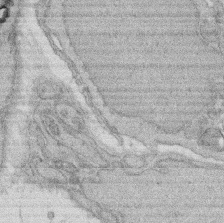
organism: Rat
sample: Salivary granule